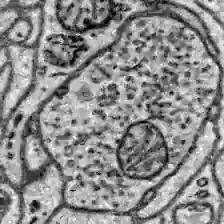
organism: Zebrafish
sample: Brain